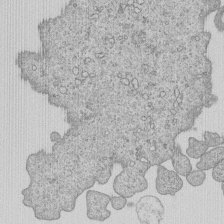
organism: Human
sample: MDA-MB-231 cells